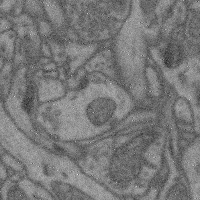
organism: Mouse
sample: Cerebral cortex